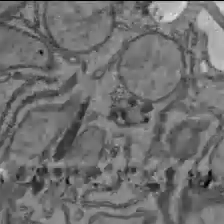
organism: C57BL Mouse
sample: Liver